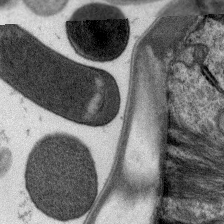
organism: C. elegans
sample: Pharynx